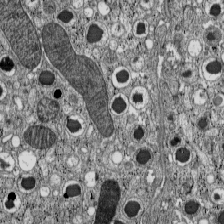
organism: C57BL Mouse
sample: Pancreatic islet